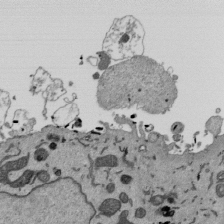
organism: Mouse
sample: ED-1 cell nuclei; centrioles